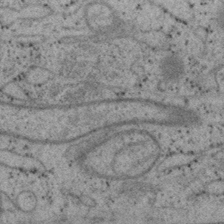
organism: Human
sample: HeLa cells